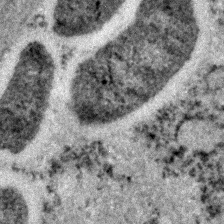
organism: C. elegans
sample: C. elegans embryo